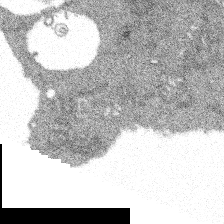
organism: Spongilla lacustris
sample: Multiple